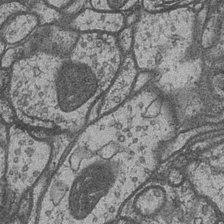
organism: Drosophila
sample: Optic medulla